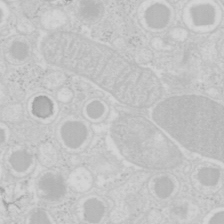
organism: Mouse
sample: Pancreas